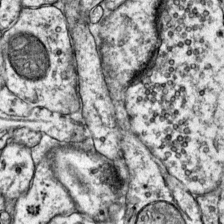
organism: Mouse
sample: Primary visual cortex